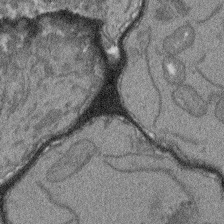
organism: Arabidopsis thaliana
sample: Root tip